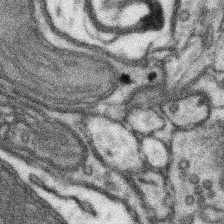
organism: Mouse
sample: Somatosensory cortex neuropil